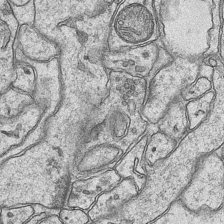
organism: Mouse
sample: CA1 Hippocampus